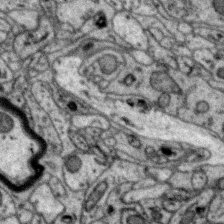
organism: Zebra finch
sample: Brain